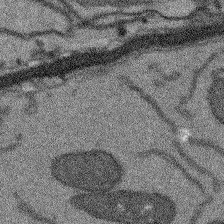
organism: Arabidopsis thaliana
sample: Root tip